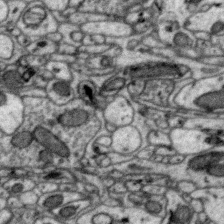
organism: Zebra finch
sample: Brain